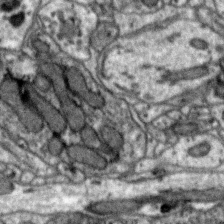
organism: Zebra finch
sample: Brain